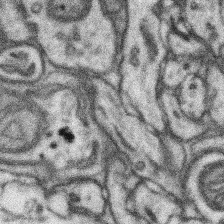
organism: Mouse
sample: Somatosensory cortex neuropil